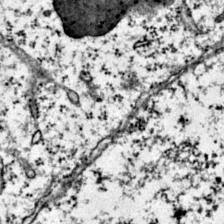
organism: Mouse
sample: Primary visual cortex